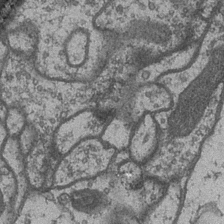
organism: Drosophila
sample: Optic medulla